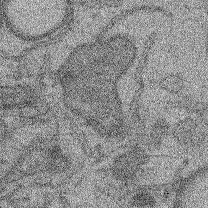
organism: Human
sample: HeLa cells